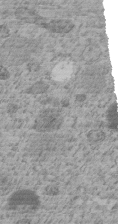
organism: C. elegans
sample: C. elegans embryo early stage